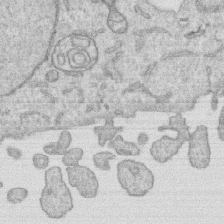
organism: Human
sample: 1205lu cells